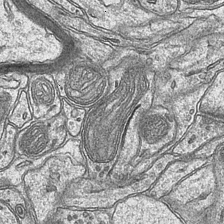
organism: Mouse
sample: CA1 Hippocampus